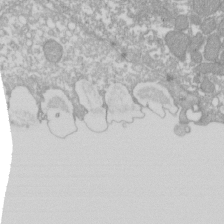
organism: Xenopus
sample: Cilia; centrioles in frog embryo cells